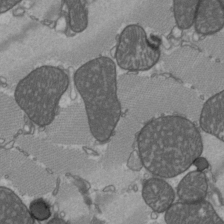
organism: C57BL Mouse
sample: Heart